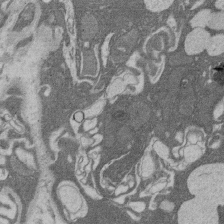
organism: Rat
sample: Salivary granule